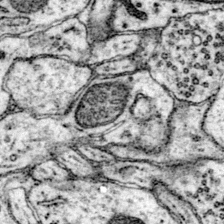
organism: Mouse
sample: Primary visual cortex